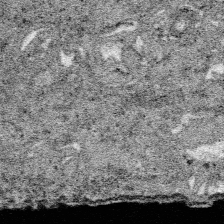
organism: Human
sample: Lung epithelial cells, uninfected (mock) control